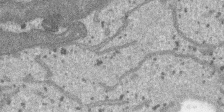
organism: Human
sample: Lung epithelial cells infected with SARS-CoV-2